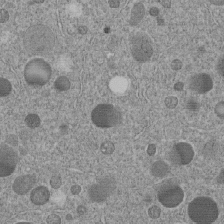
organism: C. elegans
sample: C. elegans embryo early stage